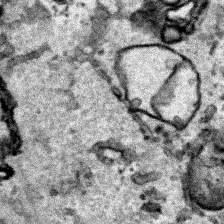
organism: Human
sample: Mitochondria in HCT116 cells